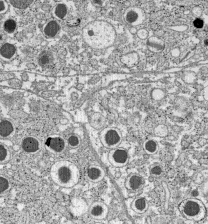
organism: C57BL Mouse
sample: Pancreatic islet